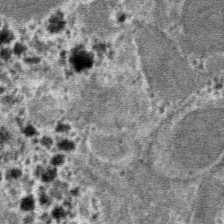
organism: Mouse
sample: Mouse hepatocytes